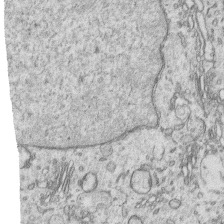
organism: Human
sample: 1205lu cells